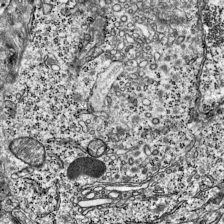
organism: Mouse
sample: Visual Cortex